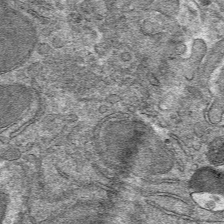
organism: Mouse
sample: Mouse hepatocytes